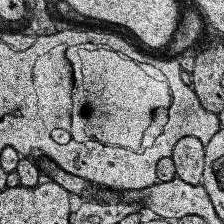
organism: Human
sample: Temporal Lobe